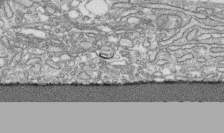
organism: Human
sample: CRL-1474